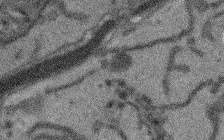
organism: Arabidopsis thaliana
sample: Root tip